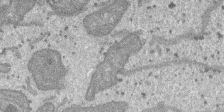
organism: Human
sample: Lung epithelial cells infected with SARS-CoV-2